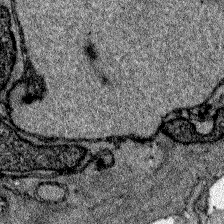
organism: Zebrafish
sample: Larval olfactory bulb